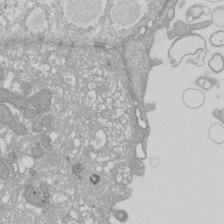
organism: Xenopus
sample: Cilia; centrioles in frog embryo cells